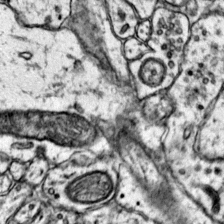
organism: Mouse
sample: Primary visual cortex